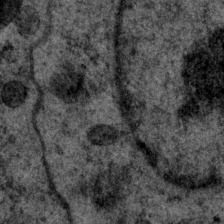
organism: P. pacificus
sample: Pharynx